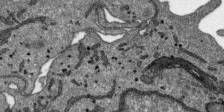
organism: Human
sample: Lung epithelial cells, uninfected (mock) control